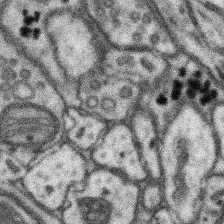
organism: Mouse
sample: Somatosensory cortex neuropil